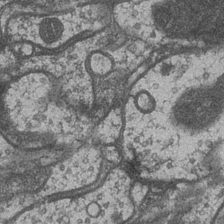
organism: Drosophila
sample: Optic medulla